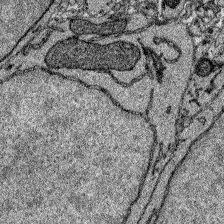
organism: Zebrafish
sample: Larval olfactory bulb